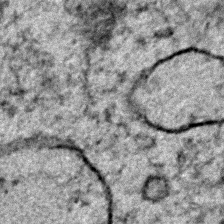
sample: Trachea